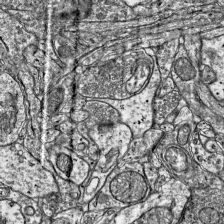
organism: Mouse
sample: Visual Cortex